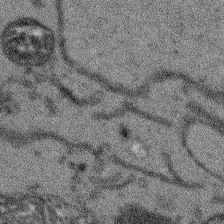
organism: Arabidopsis thaliana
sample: Root tip